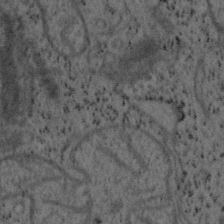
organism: Human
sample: HeLa cells